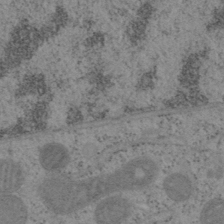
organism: Mouse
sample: OT-I killer T cells with ID8 ovarian cancer cells